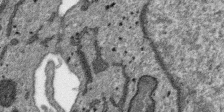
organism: Human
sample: Lung epithelial cells, uninfected (mock) control